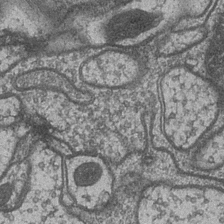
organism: Drosophila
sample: Optic medulla